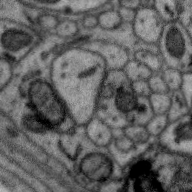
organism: Zebra finch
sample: Brain